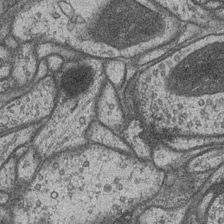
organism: Drosophila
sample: Optic medulla